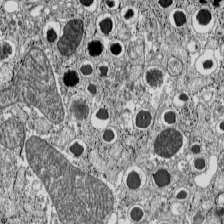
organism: C57BL Mouse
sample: Pancreatic islet